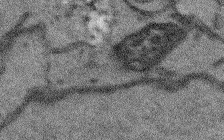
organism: Arabidopsis thaliana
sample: Root tip